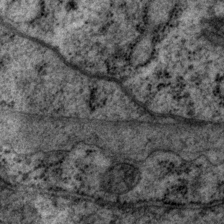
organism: P. pacificus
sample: Pharynx